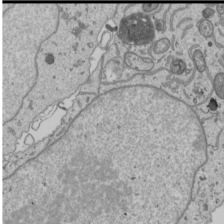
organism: Human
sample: Mitochondria in U2OS cells